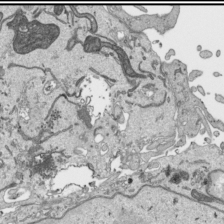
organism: Human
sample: Mitochondria in HCT116 cells